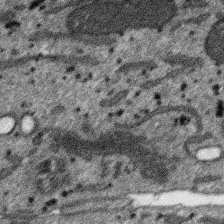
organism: Human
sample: Lung epithelial cells infected with SARS-CoV-2